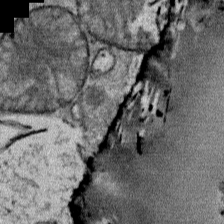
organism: Mouse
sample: Mouse Salivary gland